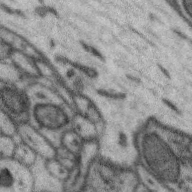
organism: Zebra finch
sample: Brain